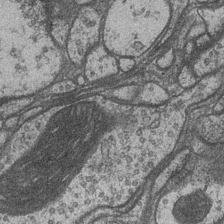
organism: Drosophila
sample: Optic medulla